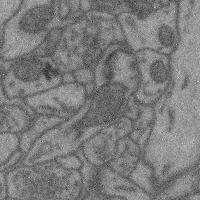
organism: Mouse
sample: Cerebral cortex